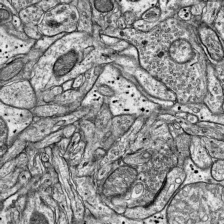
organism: Mouse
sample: Visual Cortex